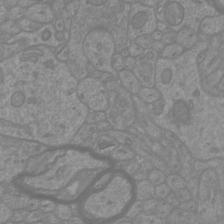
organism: Mouse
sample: Cortical neurons